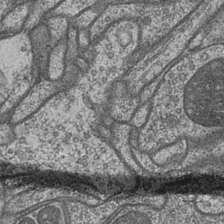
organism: Drosophila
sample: Optic medulla